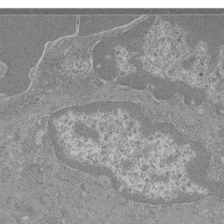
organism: Mouse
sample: Glomerulus